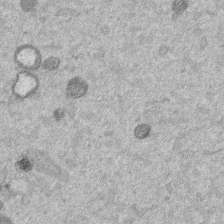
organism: Mouse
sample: Dividing mouse embryo 1 cell stage